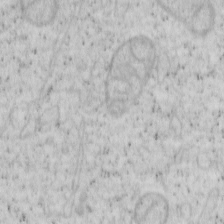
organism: Human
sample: HeLa cells